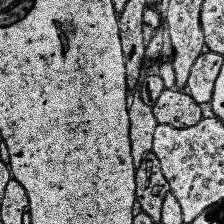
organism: Human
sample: Temporal Lobe